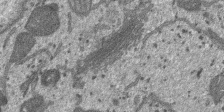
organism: Human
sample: Lung epithelial cells infected with SARS-CoV-2